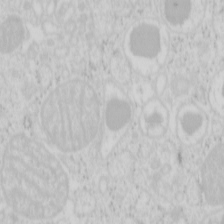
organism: Mouse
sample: Pancreas